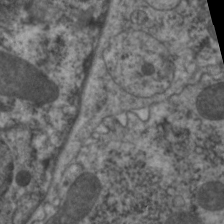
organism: C. elegans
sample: Pharynx